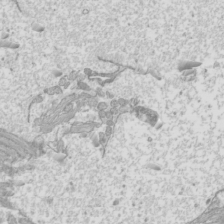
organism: Mouse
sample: Cilia; mouse epididymis